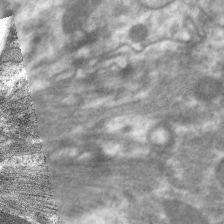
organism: C. elegans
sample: Pharynx